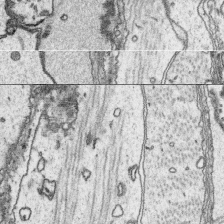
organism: Platynereis dumerilii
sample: Parapodia